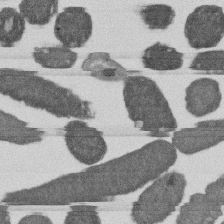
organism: E. coli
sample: Bacterial nucleoid